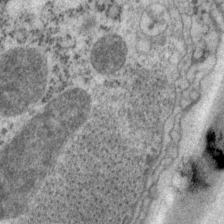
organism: P. pacificus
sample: Pharynx